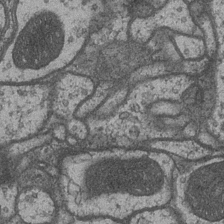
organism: Drosophila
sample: Optic medulla